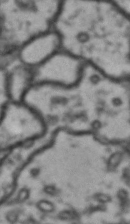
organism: Drosophila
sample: Brain